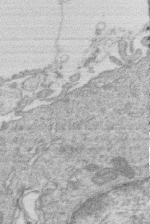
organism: Human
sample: Macrophage cells